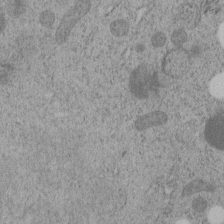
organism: C. elegans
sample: C. elegans embryo early stage